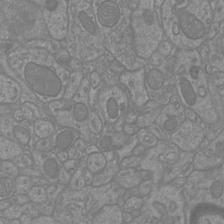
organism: Mouse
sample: Cortical neurons